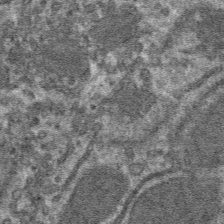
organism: Mouse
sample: Mouse hepatocytes